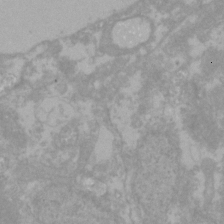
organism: Zebrafish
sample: Zebrafish embryo